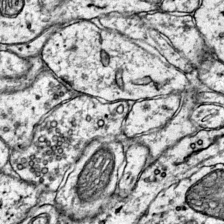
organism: Mouse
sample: Primary visual cortex